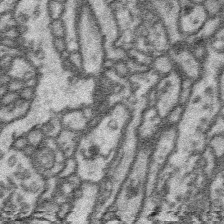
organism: Platynereis dumerilii